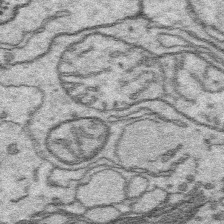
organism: Platynereis dumerilii